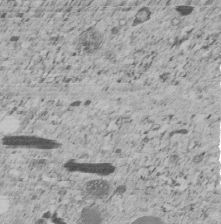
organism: C. elegans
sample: C. elegans embryo early stage